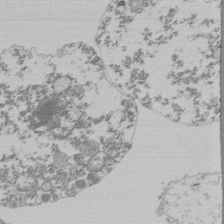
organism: Mouse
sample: Activated Pmel transgenic CD8+ T Cells